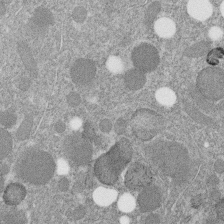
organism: C. elegans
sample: C. elegans embryo early stage